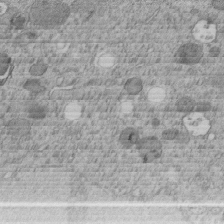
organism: C. elegans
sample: C. elegans embryo early stage